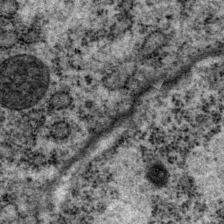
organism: P. pacificus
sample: Pharynx